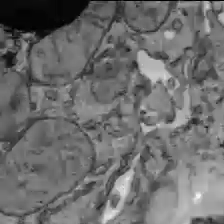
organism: C57BL Mouse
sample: Liver